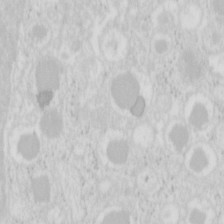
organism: Mouse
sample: Pancreas